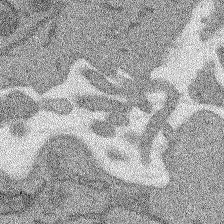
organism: Human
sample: HeLa cells